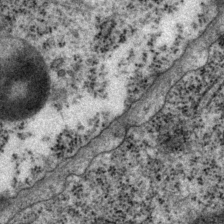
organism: P. pacificus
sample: Pharynx